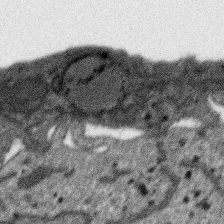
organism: Human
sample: Lung epithelial cells infected with SARS-CoV-2